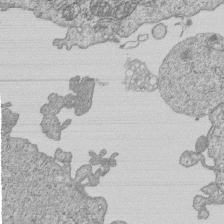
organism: Human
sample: MDA-MB-231 cells